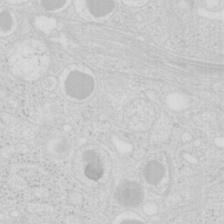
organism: Mouse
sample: Pancreas